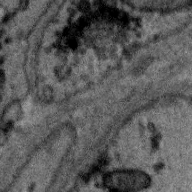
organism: Zebra finch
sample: Brain